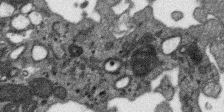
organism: Human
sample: Lung epithelial cells infected with SARS-CoV-2